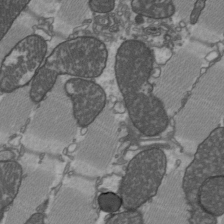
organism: C57BL Mouse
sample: Heart